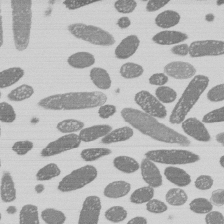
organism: E. coli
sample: Bacterial nucleoid